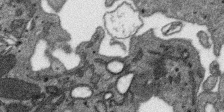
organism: Human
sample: Lung epithelial cells infected with SARS-CoV-2